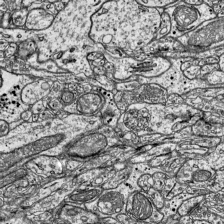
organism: Mouse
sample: Visual Cortex